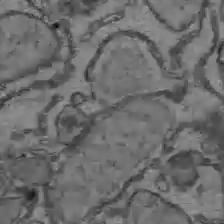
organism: C57BL Mouse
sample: Liver